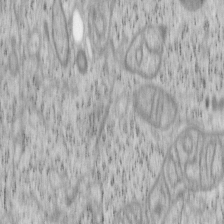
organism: Human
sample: HeLa cells